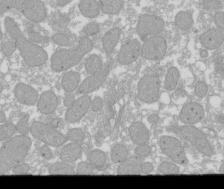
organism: Xenopus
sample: Cilia; centrioles in frog embryo cells